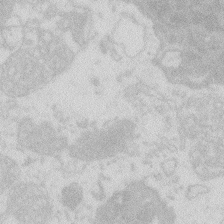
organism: Zebrafish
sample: Macrophage